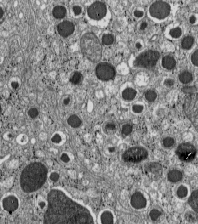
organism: C57BL Mouse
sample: Pancreatic islet